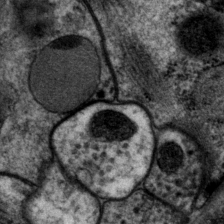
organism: P. pacificus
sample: Pharynx